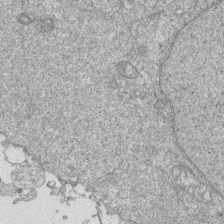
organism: Human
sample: HeLa cell HIV synapse